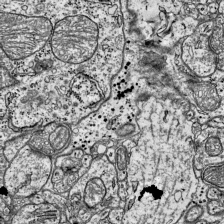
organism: Mouse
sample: Visual Cortex